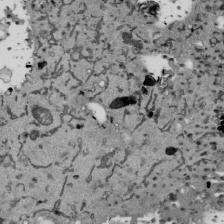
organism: Mouse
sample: ED-1 cell nuclei; centrioles